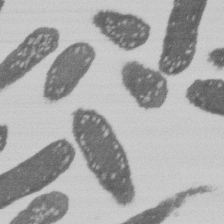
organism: E. coli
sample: Bacterial nucleoid